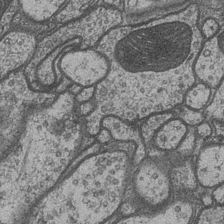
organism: Drosophila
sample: Optic medulla